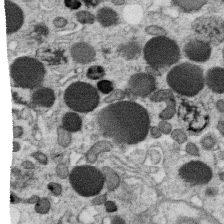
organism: C. elegans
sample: C. elegans oocyte; sperm cells